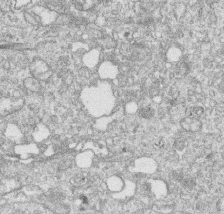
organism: Human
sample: HeLa cell HIV synapse